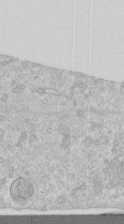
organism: Human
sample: Centriole in RPE cells